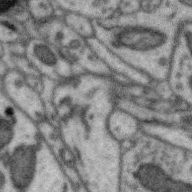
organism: Zebra finch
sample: Brain